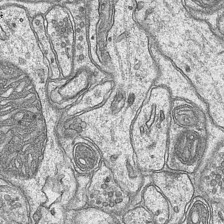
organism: Mouse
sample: CA1 Hippocampus